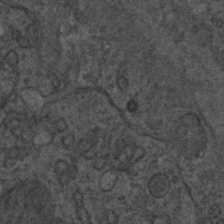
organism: C. elegans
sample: C. elegans embryo